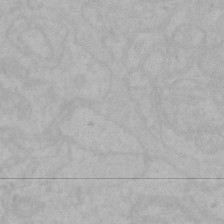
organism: Mouse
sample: Choroid plexus